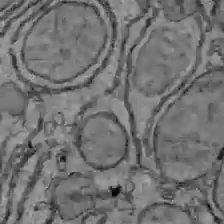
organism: C57BL Mouse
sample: Liver